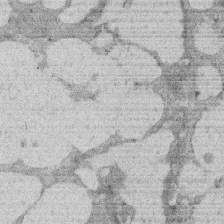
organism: Rat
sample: Salivary granule